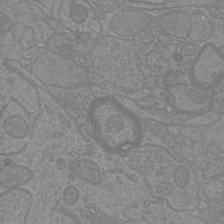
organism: Mouse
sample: Cortical neurons